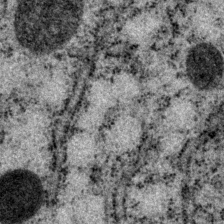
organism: P. pacificus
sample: Pharynx